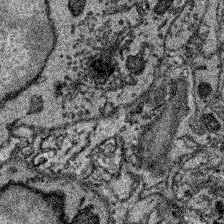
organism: Zebrafish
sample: Larval olfactory bulb